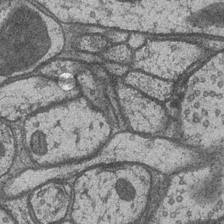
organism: Drosophila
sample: Optic medulla